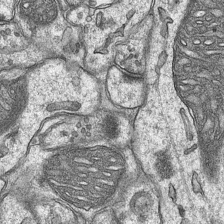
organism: Mouse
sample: CA1 Hippocampus